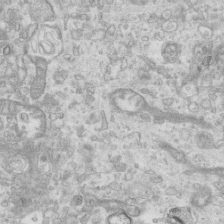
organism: Mouse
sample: Centriole in ependymal cells